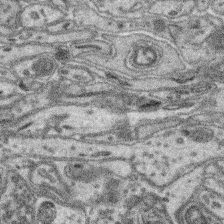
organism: Mouse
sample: Retina